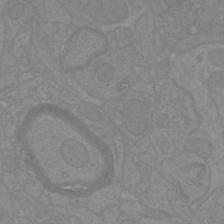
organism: Mouse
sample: Cortical neurons